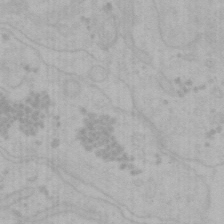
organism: Mouse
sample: Choroid plexus